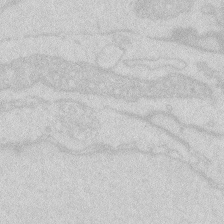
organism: Zebrafish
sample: Macrophage